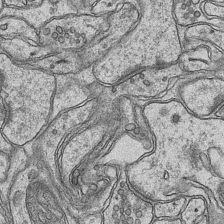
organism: Mouse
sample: CA1 Hippocampus